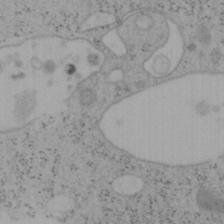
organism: Mouse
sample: OT-I killer T cells with ID8 ovarian cancer cells